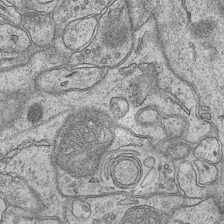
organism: Mouse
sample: CA1 Hippocampus